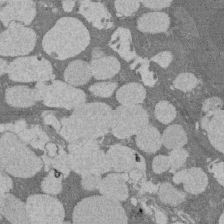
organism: Rat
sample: Salivary granule